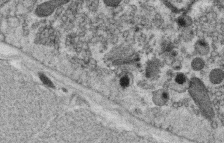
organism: C. elegans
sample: C. elegans oocyte; sperm cells